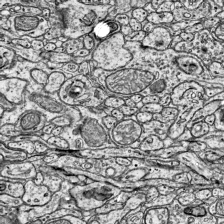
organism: Mouse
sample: Visual Cortex